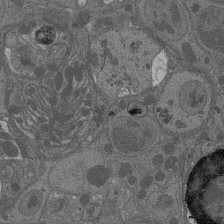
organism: Drosophila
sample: Antenna